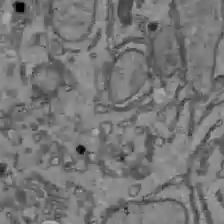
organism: C57BL Mouse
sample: Liver